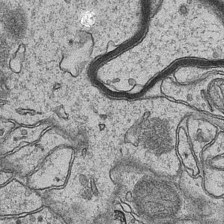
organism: Mouse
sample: CA1 Hippocampus